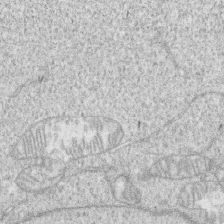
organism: Human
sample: HeLa cell HIV synapse